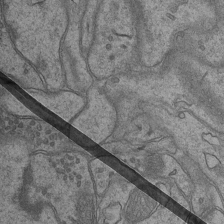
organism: Mouse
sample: CA1 Hippocampus